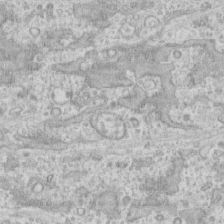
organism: Human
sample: CRL-1474